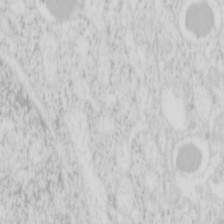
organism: Mouse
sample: Pancreas